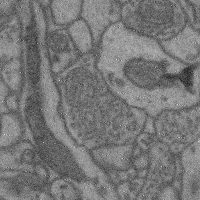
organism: Mouse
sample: Cerebral cortex